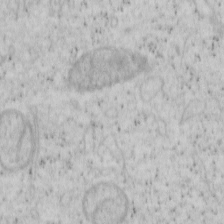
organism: Human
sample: HeLa cells